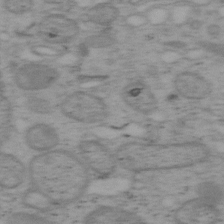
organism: Mouse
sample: OT-I killer T cells with ID8 ovarian cancer cells